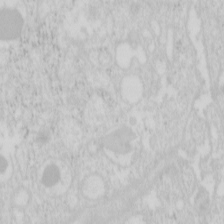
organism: Mouse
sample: Pancreas